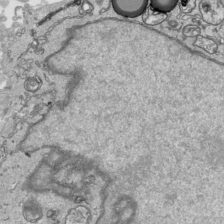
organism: Human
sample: Mitochondria in HCT116 cells